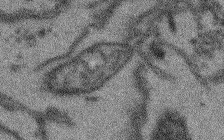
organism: Arabidopsis thaliana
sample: Root tip